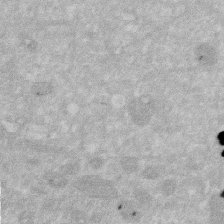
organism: Human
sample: HIV infected U937 cells